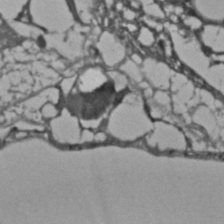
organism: C. elegans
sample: C. elegans embryo